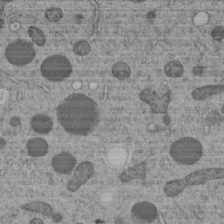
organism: C. elegans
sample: C. elegans embryo early stage